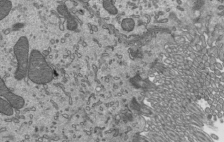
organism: Mouse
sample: Mouse epididymis efferent ductule cilia